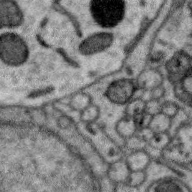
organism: Zebra finch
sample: Brain